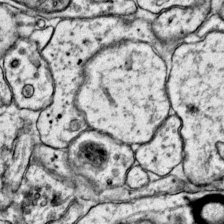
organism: Mouse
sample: Primary visual cortex